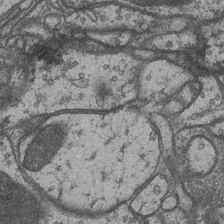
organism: Drosophila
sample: Optic medulla